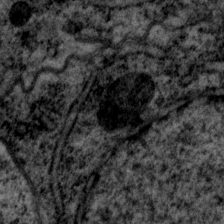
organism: P. pacificus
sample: Pharynx